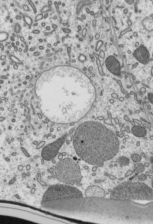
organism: Mouse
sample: Mouse epididymis efferent ductule cilia